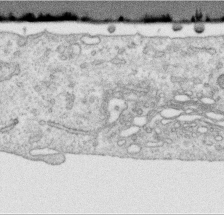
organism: Human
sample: Centriole in RPE cells